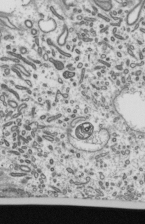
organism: Mouse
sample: Mouse epididymis efferent ductule cilia